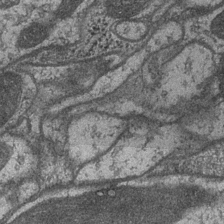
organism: Drosophila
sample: Optic medulla